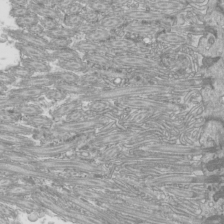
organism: Mouse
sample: Cilia; mouse epididymis